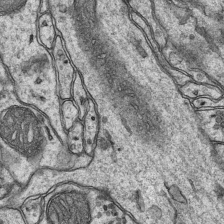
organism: Mouse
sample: CA1 Hippocampus